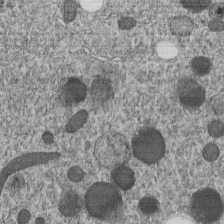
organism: C. elegans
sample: C. elegans embryo early stage